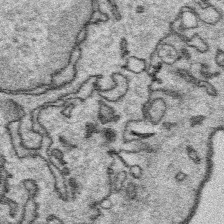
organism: Platynereis dumerilii